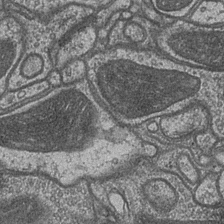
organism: Drosophila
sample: Optic medulla